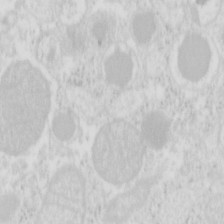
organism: Mouse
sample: Pancreas